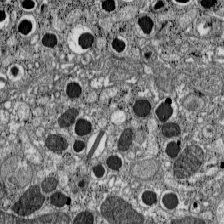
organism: C57BL Mouse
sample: Pancreatic islet